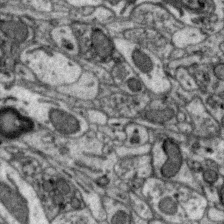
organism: Zebra finch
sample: Brain